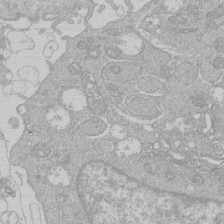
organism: Human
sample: Macrophage cells